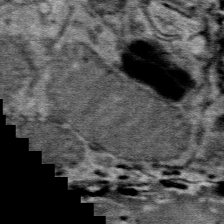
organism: Mouse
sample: Mouse Salivary gland